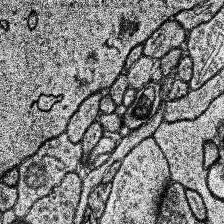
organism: Human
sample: Temporal Lobe